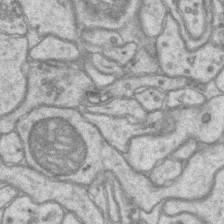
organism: Mouse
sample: CA1 Hippocampus